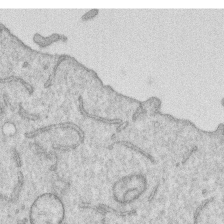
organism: Human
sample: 1205lu cells